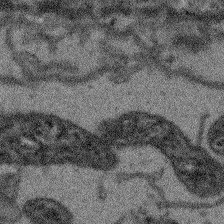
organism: Arabidopsis thaliana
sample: Root tip